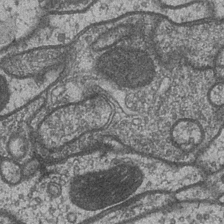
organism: Drosophila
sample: Optic medulla